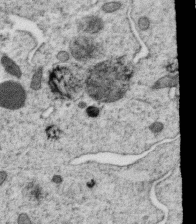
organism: C. elegans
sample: C. elegans oocyte; sperm cells